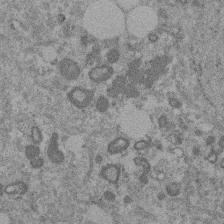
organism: Mouse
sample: Dividing mouse embryo 1 cell stage